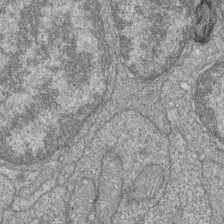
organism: Zebrafish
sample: Cilia; retinal pigment epithelium